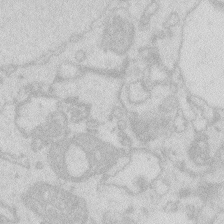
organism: Zebrafish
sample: Macrophage